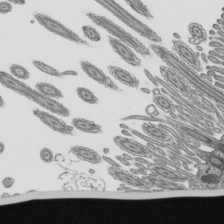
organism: Mouse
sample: Mouse epididymis efferent ductule cilia